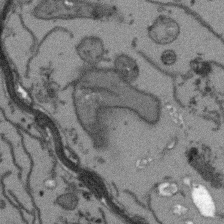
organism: Arabidopsis thaliana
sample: Root tip